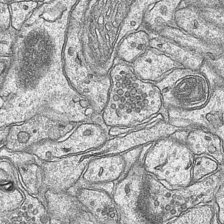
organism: Mouse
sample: CA1 Hippocampus